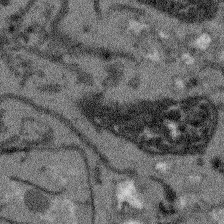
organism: Arabidopsis thaliana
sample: Root tip